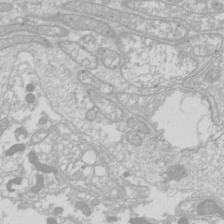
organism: Drosophila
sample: Cell division; meiosis; drosophila spermatocytes